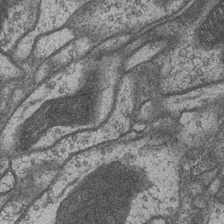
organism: Drosophila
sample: Optic medulla